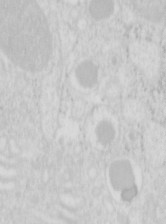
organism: Mouse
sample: Pancreas